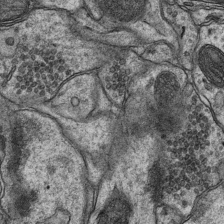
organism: Mouse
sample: CA1 Hippocampus